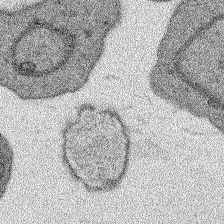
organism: Human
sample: HeLa cells